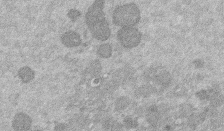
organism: Mouse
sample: Dividing mouse embryo 1 cell stage